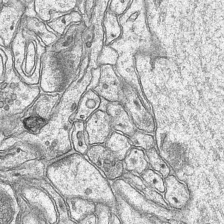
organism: Mouse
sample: CA1 Hippocampus